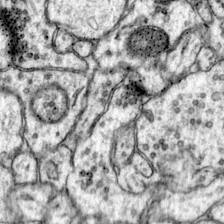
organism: Mouse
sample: Primary visual cortex